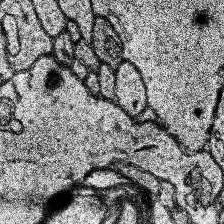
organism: Human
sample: Temporal Lobe